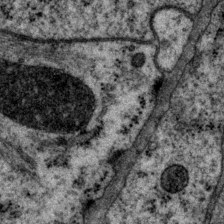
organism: P. pacificus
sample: Pharynx